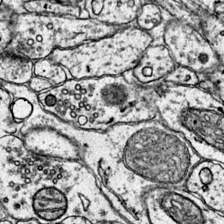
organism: Mouse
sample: Primary visual cortex